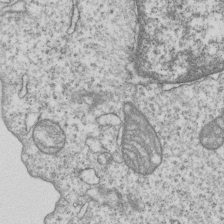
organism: Human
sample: MDA-MB-231 cells